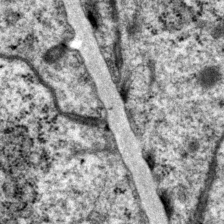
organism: P. pacificus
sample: Pharynx